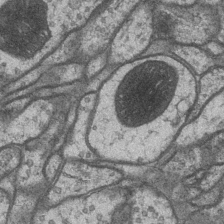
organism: Drosophila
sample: Optic medulla